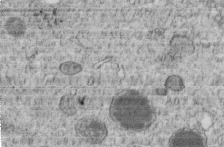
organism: C. elegans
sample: C. elegans embryo early stage